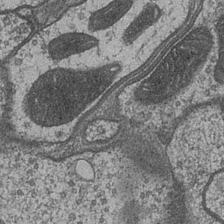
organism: Drosophila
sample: Optic medulla